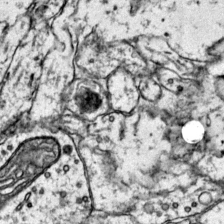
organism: Mouse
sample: Primary visual cortex